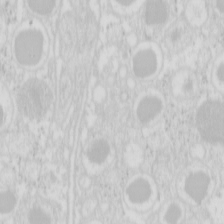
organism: Mouse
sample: Pancreas